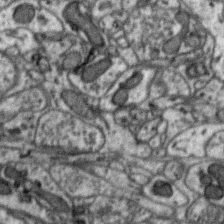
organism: Zebra finch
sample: Brain